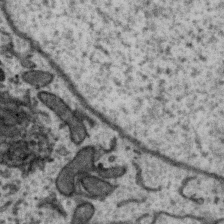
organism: Zebra finch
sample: Brain